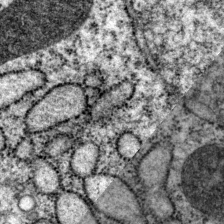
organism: P. pacificus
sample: Pharynx